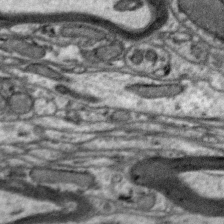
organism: Zebra finch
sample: Brain